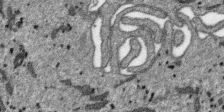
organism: Human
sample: Lung epithelial cells, uninfected (mock) control